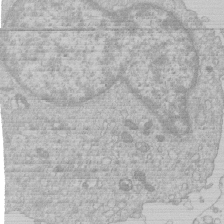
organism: Human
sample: Macrophage cells